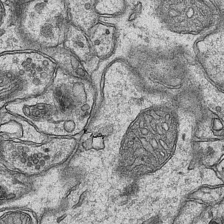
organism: Mouse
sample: CA1 Hippocampus